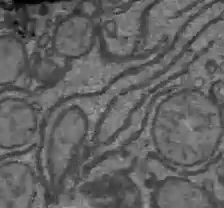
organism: C57BL Mouse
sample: Liver